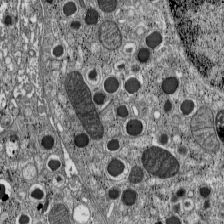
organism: C57BL Mouse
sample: Pancreatic islet